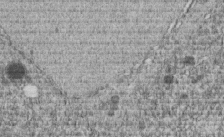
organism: C. elegans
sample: C. elegans embryo early stage